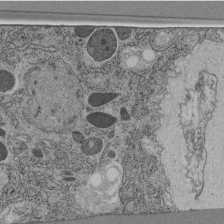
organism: C. elegans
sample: C. elegans pharynx